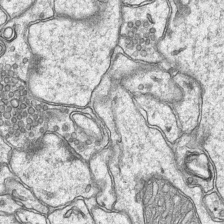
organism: Mouse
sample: CA1 Hippocampus